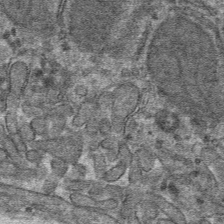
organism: Mouse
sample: Mouse hepatocytes